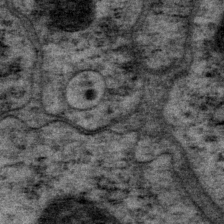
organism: P. pacificus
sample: Pharynx